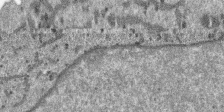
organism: Human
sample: Lung epithelial cells infected with SARS-CoV-2